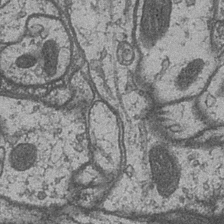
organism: Drosophila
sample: Optic medulla